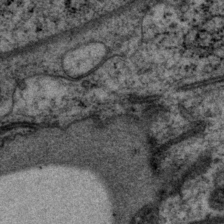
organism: P. pacificus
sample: Pharynx